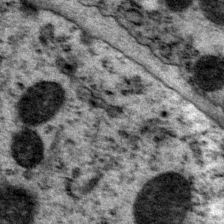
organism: P. pacificus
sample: Pharynx